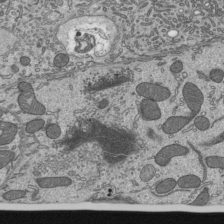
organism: Mouse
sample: Mouse epididymis efferent ductule cilia